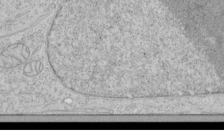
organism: Human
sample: Mitochondria in HCT116 cells